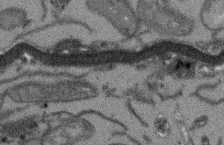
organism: Arabidopsis thaliana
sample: Root tip